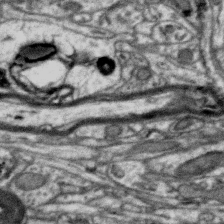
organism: Zebra finch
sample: Brain